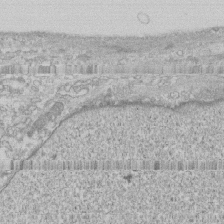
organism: Human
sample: CRL-1474